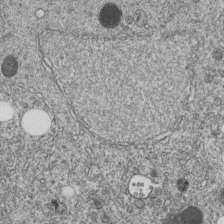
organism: C. elegans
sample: C. elegans embryo early stage